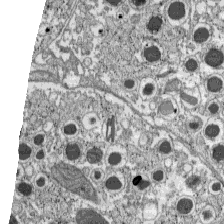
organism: C57BL Mouse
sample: Pancreatic islet